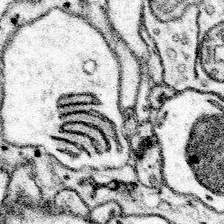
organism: Mouse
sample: Somatosensory cortex neuropil